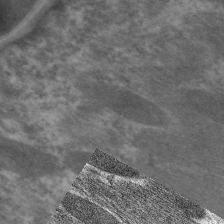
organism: C. elegans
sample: Pharynx